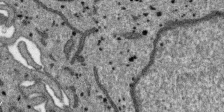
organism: Human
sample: Lung epithelial cells, uninfected (mock) control